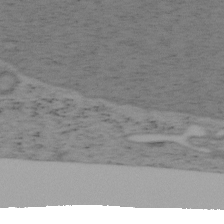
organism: Mouse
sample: OT-I killer T cells with ID8 ovarian cancer cells